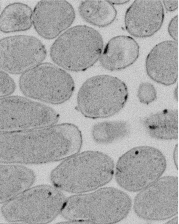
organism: E. coli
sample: Bacterial nucleoid